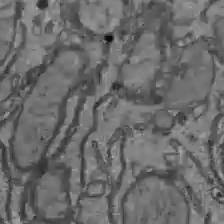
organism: C57BL Mouse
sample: Liver